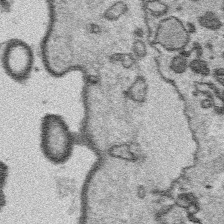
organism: Platynereis dumerilii